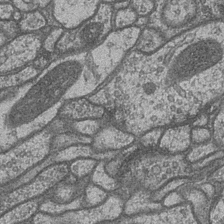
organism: Drosophila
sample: Optic medulla